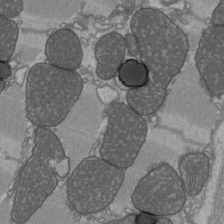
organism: C57BL Mouse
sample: Heart